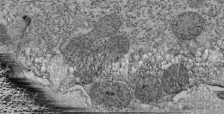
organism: Tetrahymena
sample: Cilia in tetrahymena